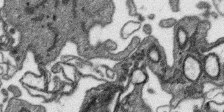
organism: Human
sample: Lung epithelial cells infected with SARS-CoV-2